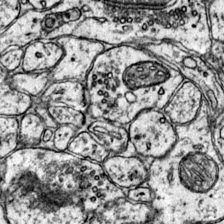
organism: Mouse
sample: Primary visual cortex